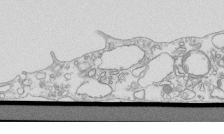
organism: Mouse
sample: Macrophages